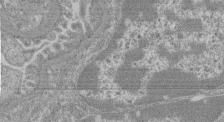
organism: Mouse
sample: Glomerulus